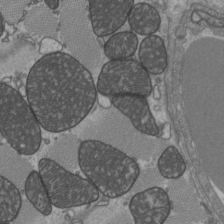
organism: C57BL Mouse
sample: Heart